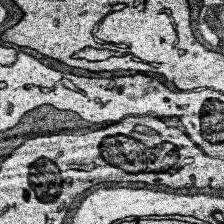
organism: Human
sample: Temporal Lobe